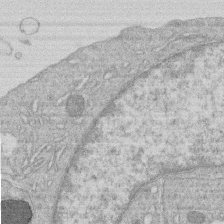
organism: Human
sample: Macrophage cells